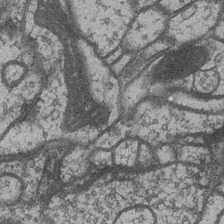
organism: Drosophila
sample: Optic medulla